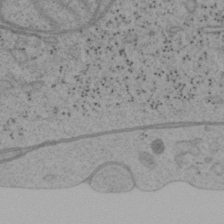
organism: Human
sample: HeLa cells